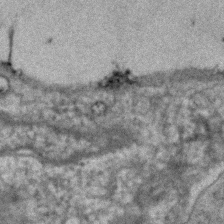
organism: Human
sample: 1205lu cells